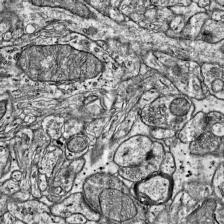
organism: Mouse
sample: Visual Cortex